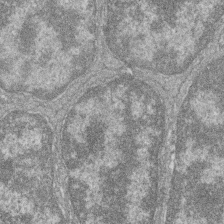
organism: Zebrafish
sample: Cilia; retinal pigment epithelium